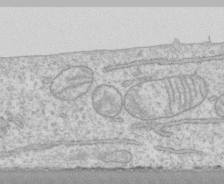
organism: Human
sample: CRL-1474